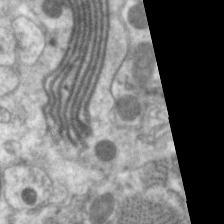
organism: C. elegans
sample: Pharynx